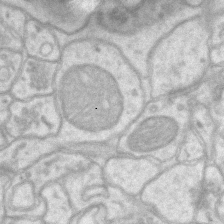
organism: Mouse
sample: CA1 Hippocampus